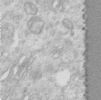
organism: Human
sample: Centriole in RPE cells